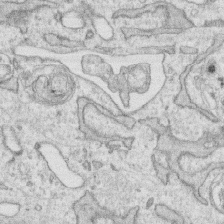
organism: Human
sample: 1205lu cells